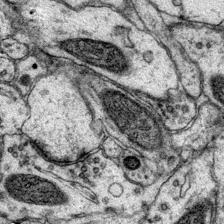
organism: Mouse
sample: Primary visual cortex